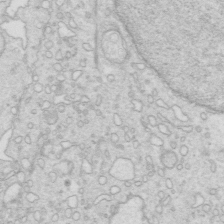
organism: Mouse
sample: Multiciliated cells